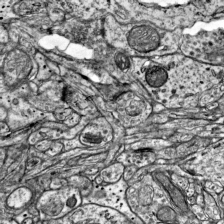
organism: Mouse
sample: Visual Cortex